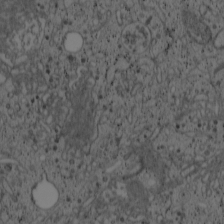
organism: African green monkey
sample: COS-7 cells